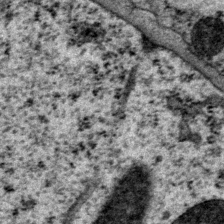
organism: P. pacificus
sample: Pharynx